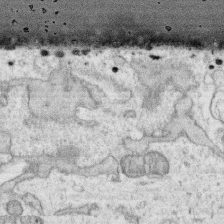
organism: Human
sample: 1205lu cells